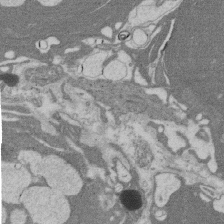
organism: Rat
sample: Salivary granule